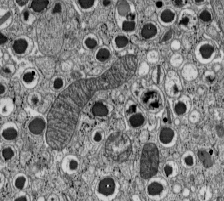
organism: C57BL Mouse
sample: Pancreatic islet